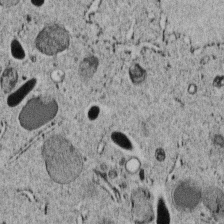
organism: C. elegans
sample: C. elegans embryo early stage